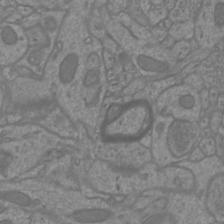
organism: Mouse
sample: Cortical neurons